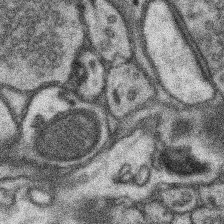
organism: Mouse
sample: Somatosensory cortex neuropil